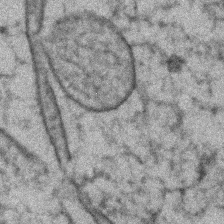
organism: Zebrafish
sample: Zebrafish embryo